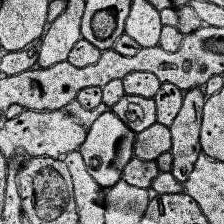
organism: Human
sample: Temporal Lobe